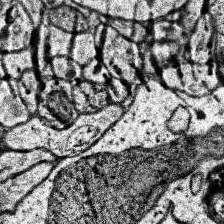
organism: Human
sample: Temporal Lobe